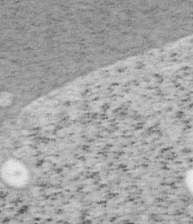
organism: Mouse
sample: OT-I killer T cells with ID8 ovarian cancer cells